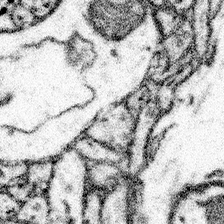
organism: Mouse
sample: Somatosensory cortex neuropil